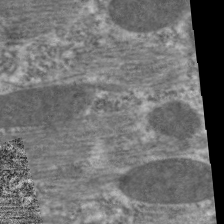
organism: C. elegans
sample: Pharynx